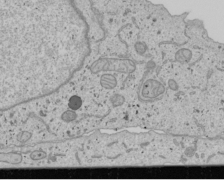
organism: Human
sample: Mitochondria in U2OS cells